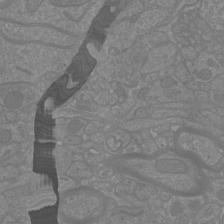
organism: Mouse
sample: Cortical neurons